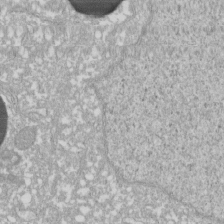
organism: Xenopus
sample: Cilia; centrioles in frog embryo cells